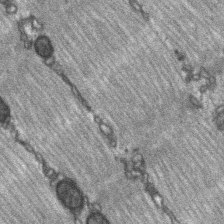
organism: C57BL Mouse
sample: Soleus